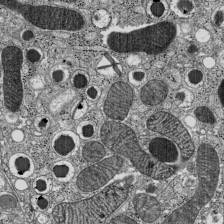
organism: C57BL Mouse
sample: Pancreatic islet